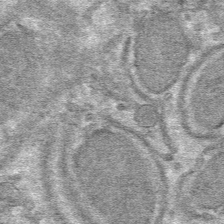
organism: Mouse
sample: Mouse hepatocytes